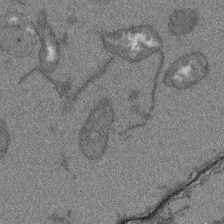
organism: Arabidopsis thaliana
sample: Root tip